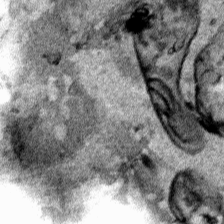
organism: Human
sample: Mitochondria in HCT116 cells